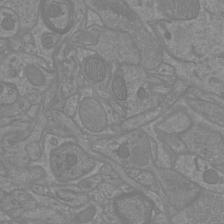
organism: Mouse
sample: Cortical neurons